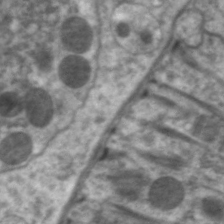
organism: C. elegans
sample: Pharynx